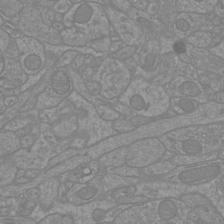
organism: Mouse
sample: Cortical neurons